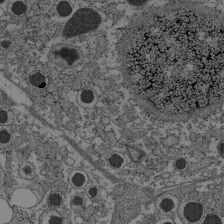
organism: C57BL Mouse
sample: Pancreatic islet